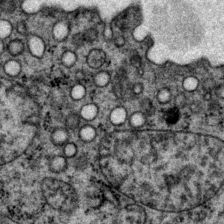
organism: P. pacificus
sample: Pharynx